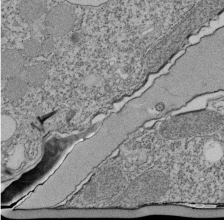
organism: Tetrahymena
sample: Cilia in tetrahymena